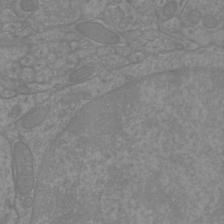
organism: Mouse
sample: Cortical neurons